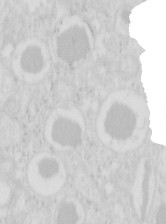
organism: Mouse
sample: Pancreas